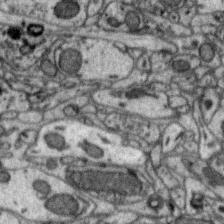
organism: Zebra finch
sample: Brain